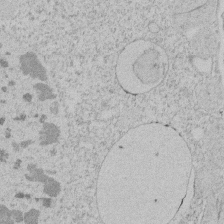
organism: Tetrahymena